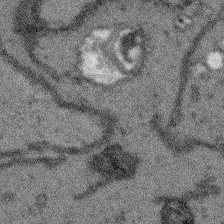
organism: Arabidopsis thaliana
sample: Root tip